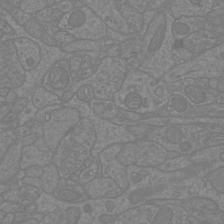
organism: Mouse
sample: Cortical neurons